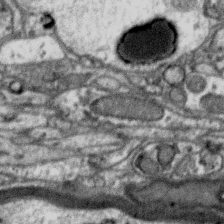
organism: Zebra finch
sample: Brain